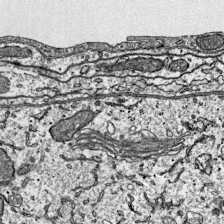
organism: Mouse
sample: Visual Cortex